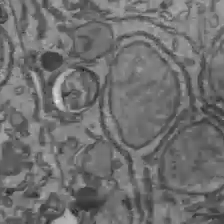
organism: C57BL Mouse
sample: Liver